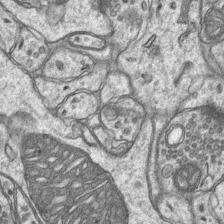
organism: Mouse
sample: CA1 Hippocampus